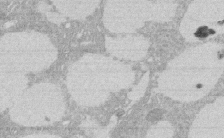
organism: Rat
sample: Salivary granule